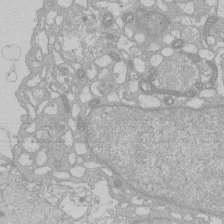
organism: Human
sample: Macrophage cells